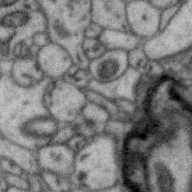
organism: Zebra finch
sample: Brain